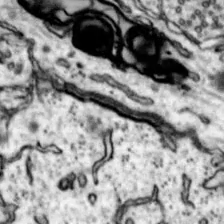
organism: Mouse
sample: Nucleus accumbens